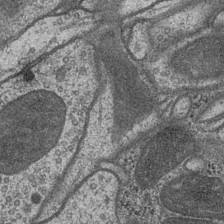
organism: Drosophila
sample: Optic medulla